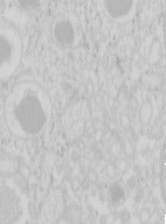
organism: Mouse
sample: Pancreas